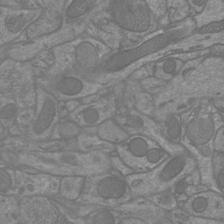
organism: Mouse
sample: Cortical neurons